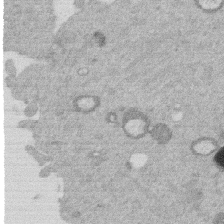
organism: Mouse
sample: Dividing mouse embryo 1 cell stage